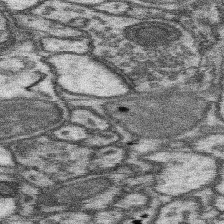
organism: Mouse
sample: Somatosensory cortex neuropil